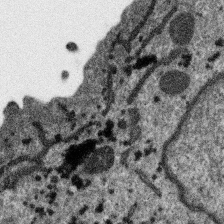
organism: Human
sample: Lung epithelial cells infected with SARS-CoV-2